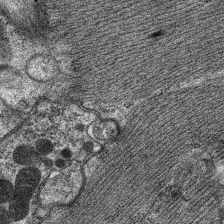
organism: C. elegans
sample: Pharynx